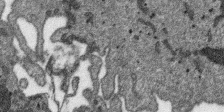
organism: Human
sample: Lung epithelial cells infected with SARS-CoV-2